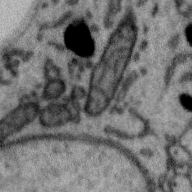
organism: Zebra finch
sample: Brain